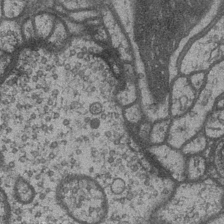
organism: Drosophila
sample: Optic medulla